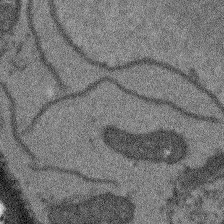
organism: Arabidopsis thaliana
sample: Root tip